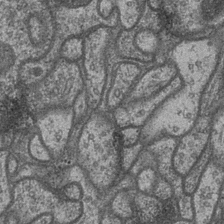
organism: Drosophila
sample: Optic medulla